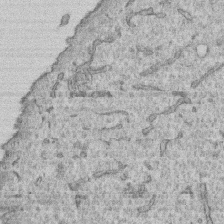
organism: Human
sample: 1205lu cells